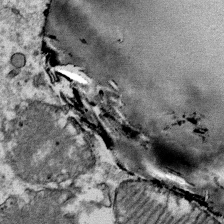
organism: Mouse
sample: Mouse Salivary gland